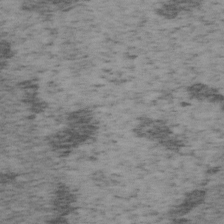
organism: Mouse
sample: OT-I killer T cells with ID8 ovarian cancer cells